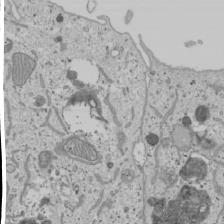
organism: Human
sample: Mitochondria in U2OS cells